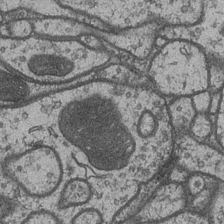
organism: Drosophila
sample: Optic medulla